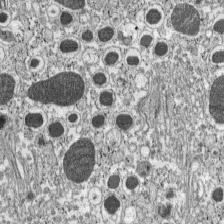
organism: C57BL Mouse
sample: Pancreatic islet